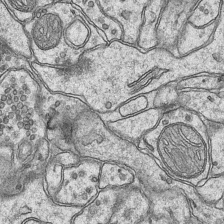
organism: Mouse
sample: CA1 Hippocampus